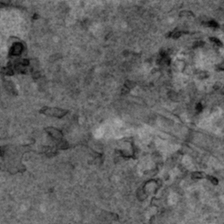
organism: Human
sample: Mitochondria in HCT116 cells